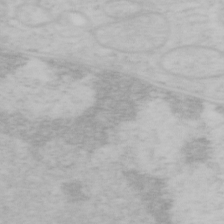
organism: Mouse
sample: OT-I killer T cells with ID8 ovarian cancer cells